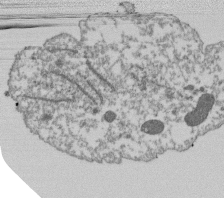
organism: Dictyostelium discoideum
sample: Dictyostelium multivesicular bodies